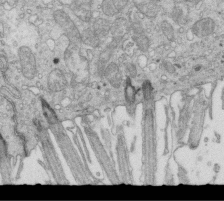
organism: Mouse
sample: Multiciliated cells